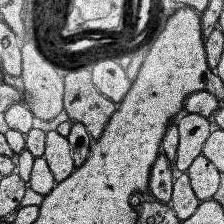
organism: Human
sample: Temporal Lobe